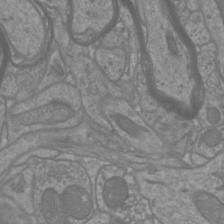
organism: Mouse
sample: Cortical neurons